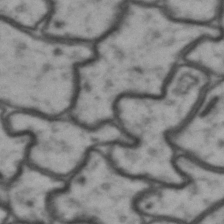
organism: Drosophila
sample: Brain